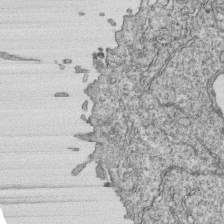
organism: Human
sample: HeLa cell HIV synapse